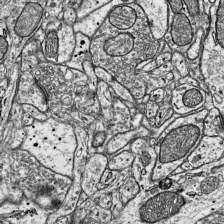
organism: Mouse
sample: Visual Cortex